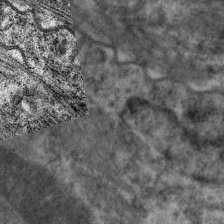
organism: C. elegans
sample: Pharynx